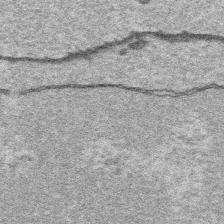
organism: Platynereis dumerilii